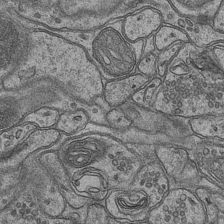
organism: Mouse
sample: CA1 Hippocampus